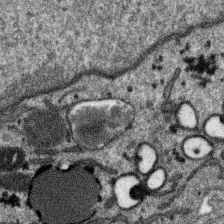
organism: Human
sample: Lung epithelial cells infected with SARS-CoV-2